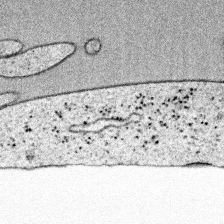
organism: Human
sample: HeLa cells